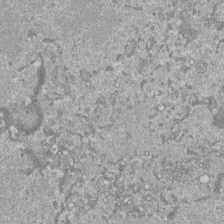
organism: Mouse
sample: ED-1 cell nuclei; centrioles